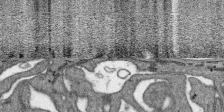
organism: Human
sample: Lung epithelial cells, uninfected (mock) control